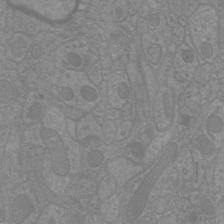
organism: Mouse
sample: Cortical neurons